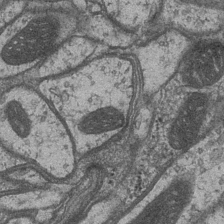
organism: Drosophila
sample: Optic medulla